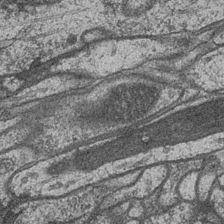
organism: Drosophila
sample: Optic medulla